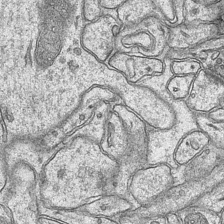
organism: Mouse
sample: CA1 Hippocampus